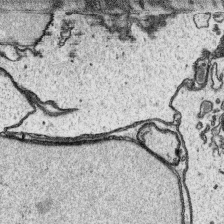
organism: Platynereis dumerilii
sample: Parapodia